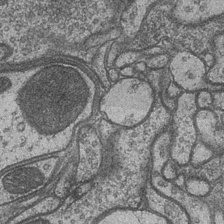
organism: Drosophila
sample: Optic medulla